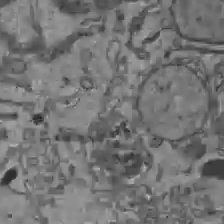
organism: C57BL Mouse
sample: Liver